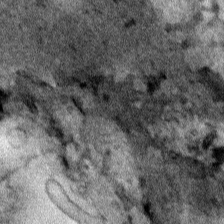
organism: Human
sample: Mitochondria in HCT116 cells